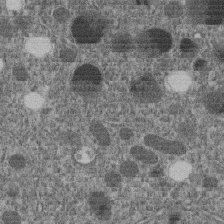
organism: C. elegans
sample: C. elegans embryo early stage